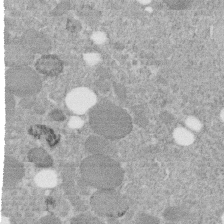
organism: C. elegans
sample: C. elegans embryo early stage